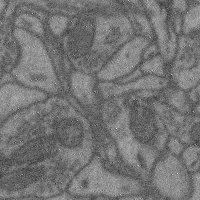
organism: Mouse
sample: Cerebral cortex